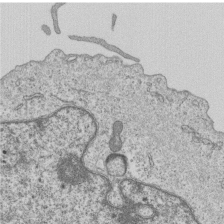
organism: Human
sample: MDA-MB-231 cells